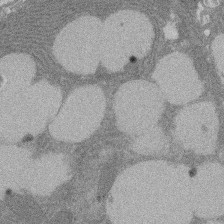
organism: Rat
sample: Salivary granule